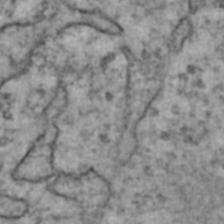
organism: Human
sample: Blood